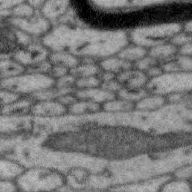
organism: Zebra finch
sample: Brain